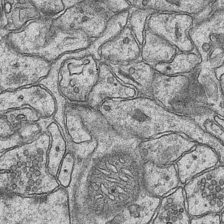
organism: Mouse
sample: CA1 Hippocampus